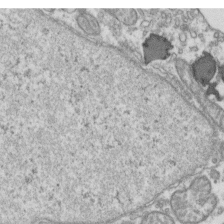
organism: Human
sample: Activated Jurkat CD4+ T cells